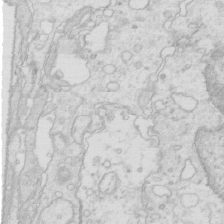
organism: Mouse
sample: Multiciliated cells